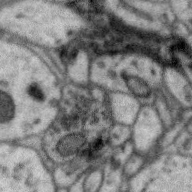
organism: Zebra finch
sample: Brain